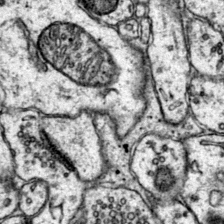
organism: Mouse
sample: Primary visual cortex